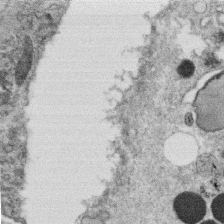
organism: C. elegans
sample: C. elegans oocyte; sperm cells